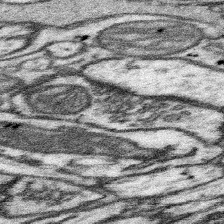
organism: Mouse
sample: Somatosensory cortex neuropil